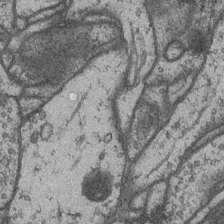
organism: Drosophila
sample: Optic medulla